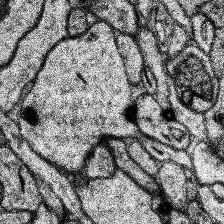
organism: Human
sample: Temporal Lobe